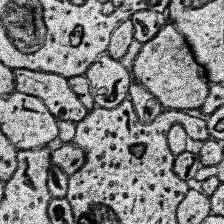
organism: Human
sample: Temporal Lobe